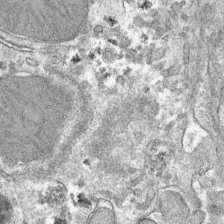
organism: Mouse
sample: Mouse hepatocytes